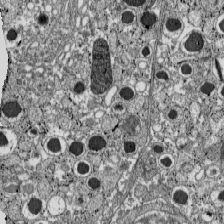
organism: C57BL Mouse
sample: Pancreatic islet